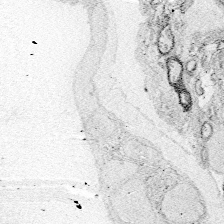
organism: Zebrafish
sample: Whole-Brain